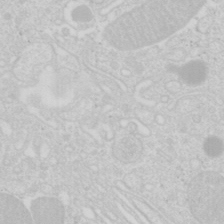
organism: Mouse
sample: Pancreas